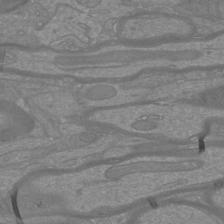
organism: Mouse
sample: Cortical neurons